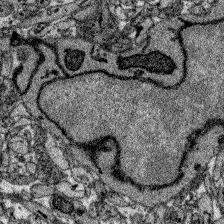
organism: Zebrafish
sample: Larval olfactory bulb